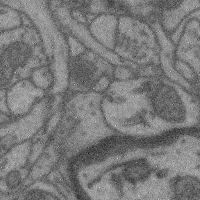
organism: Mouse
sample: Cerebral cortex